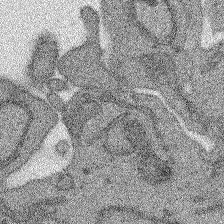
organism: Human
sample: HeLa cells